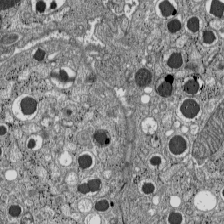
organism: C57BL Mouse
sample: Pancreatic islet